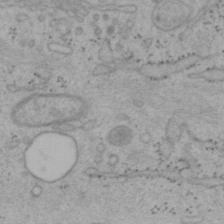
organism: Human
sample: HeLa cells